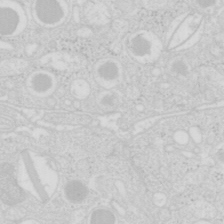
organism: Mouse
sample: Pancreas